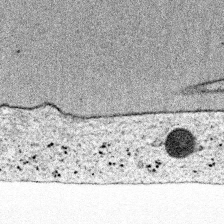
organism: Human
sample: HeLa cells